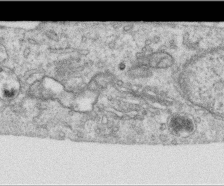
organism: Human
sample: Centriole in RPE cells